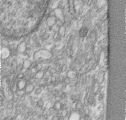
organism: Human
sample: Centriole in RPE cells